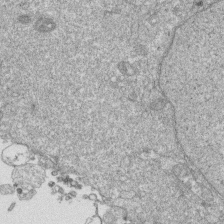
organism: Human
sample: HeLa cell HIV synapse